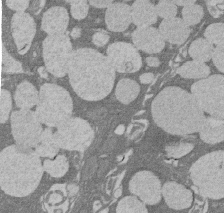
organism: Rat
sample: Salivary granule